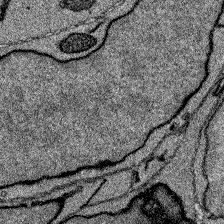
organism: Zebrafish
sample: Larval olfactory bulb